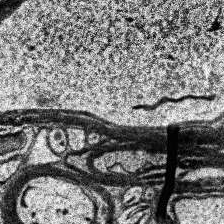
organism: Human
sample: Temporal Lobe